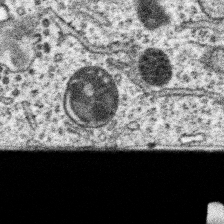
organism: Human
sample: HeLa cells